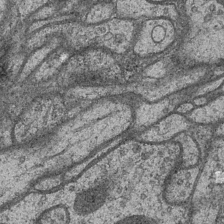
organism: Drosophila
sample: Optic medulla